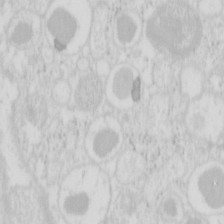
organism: Mouse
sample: Pancreas